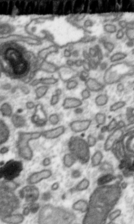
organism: Toxoplasma gondii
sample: Parasites in a vacuole inside a host cell